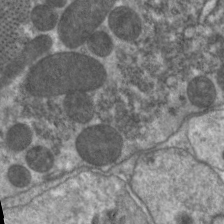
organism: C. elegans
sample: Pharynx